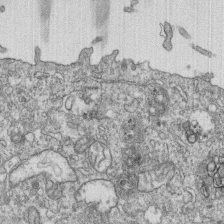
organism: Human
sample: HeLa cell HIV synapse